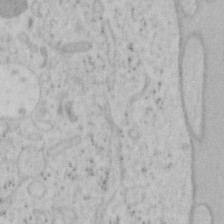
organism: Human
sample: HeLa cells